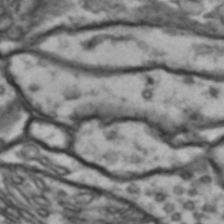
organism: Drosophila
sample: Brain